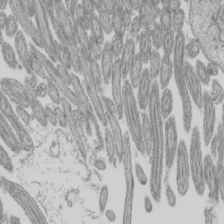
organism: Mouse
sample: Cilia; mouse epididymis